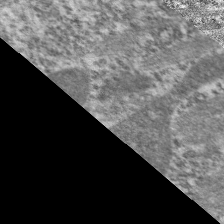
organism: C. elegans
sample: Pharynx